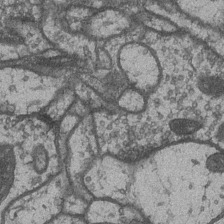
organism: Drosophila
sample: Optic medulla